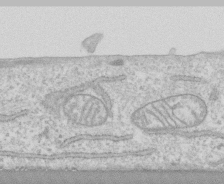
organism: Human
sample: CRL-1474